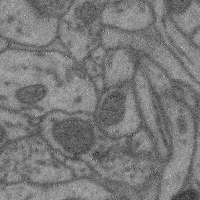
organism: Mouse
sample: Cerebral cortex